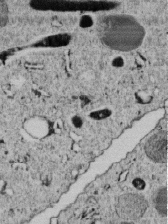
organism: C. elegans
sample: C. elegans embryo early stage